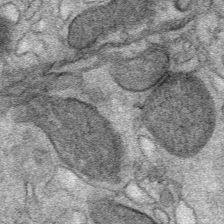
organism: Mouse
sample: Mouse Salivary gland